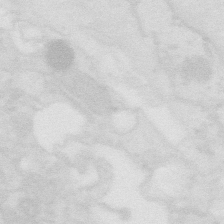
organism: Human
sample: HeLa cells